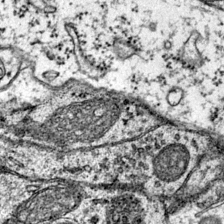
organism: Mouse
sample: Primary visual cortex